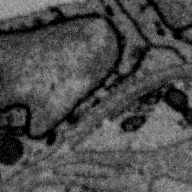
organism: Zebra finch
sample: Brain